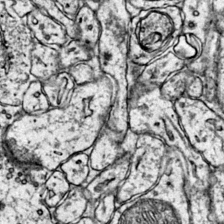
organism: Mouse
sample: Primary visual cortex